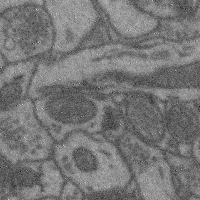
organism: Mouse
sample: Cerebral cortex